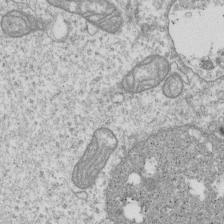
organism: Human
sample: MDA-MB-231 cells